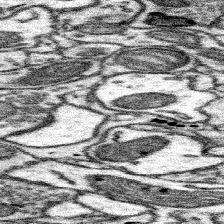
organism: Mouse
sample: Somatosensory cortex neuropil